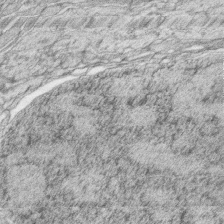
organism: Zebrafish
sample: synaptic ribbons in rod cells and cone cells